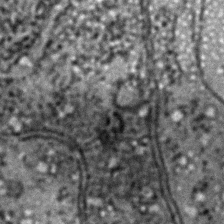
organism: Zebrafish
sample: Zebrafish embryo